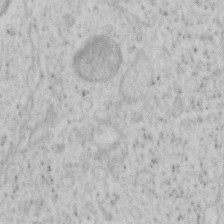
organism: Human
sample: HeLa cells